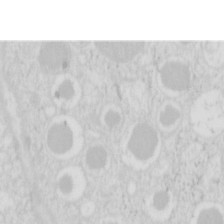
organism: Mouse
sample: Pancreas